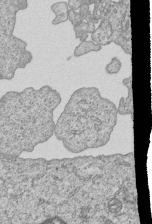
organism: Human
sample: MDA-MB-231 cells